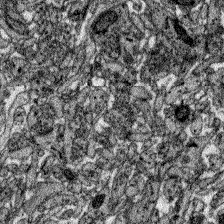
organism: Zebrafish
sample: Larval olfactory bulb